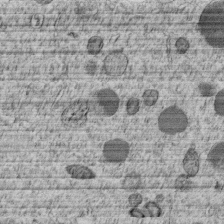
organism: C. elegans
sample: C. elegans embryo early stage